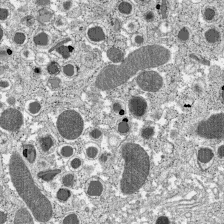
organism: C57BL Mouse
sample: Pancreatic islet